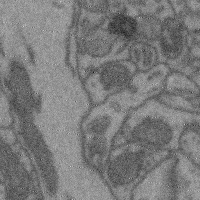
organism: Mouse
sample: Cerebral cortex